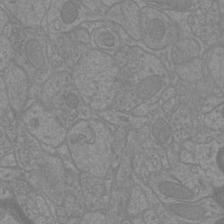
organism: Mouse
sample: Cortical neurons